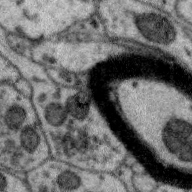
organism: Zebra finch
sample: Brain